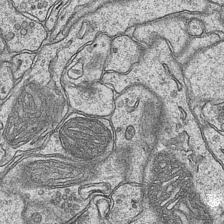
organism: Mouse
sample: CA1 Hippocampus